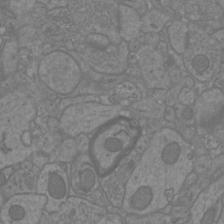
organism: Mouse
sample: Cortical neurons